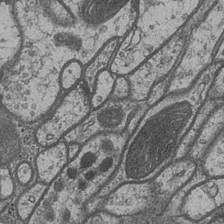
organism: Drosophila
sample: Optic medulla